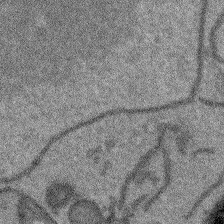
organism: Arabidopsis thaliana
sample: Root tip